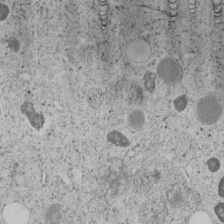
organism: C. elegans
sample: C. elegans embryo early stage